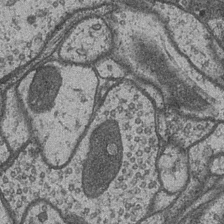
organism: Drosophila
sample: Optic medulla